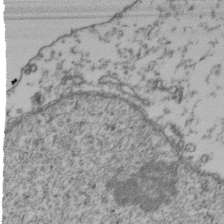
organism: Human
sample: Activated Jurkat CD4+ T cells